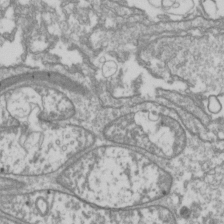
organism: Drosophila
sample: Cell division; meiosis; drosophila spermatocytes